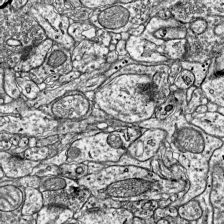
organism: Mouse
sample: Visual Cortex